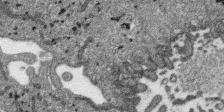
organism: Human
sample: Lung epithelial cells infected with SARS-CoV-2